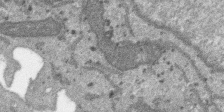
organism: Human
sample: Lung epithelial cells infected with SARS-CoV-2